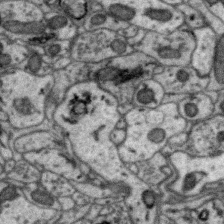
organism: Zebra finch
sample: Brain